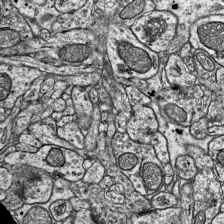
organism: Mouse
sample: Visual Cortex